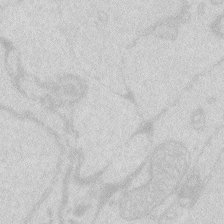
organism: Zebrafish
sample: Macrophage